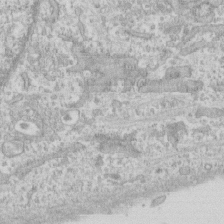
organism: Human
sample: CRL-1474